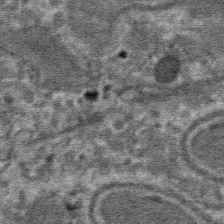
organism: Mouse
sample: Mouse hepatocytes